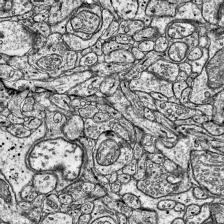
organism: Mouse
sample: Visual Cortex